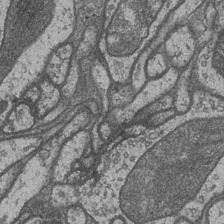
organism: Drosophila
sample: Optic medulla